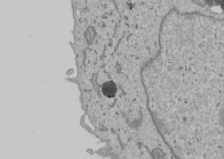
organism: Human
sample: Mitochondria in U2OS cells